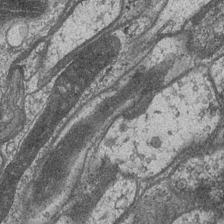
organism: Drosophila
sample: Optic medulla